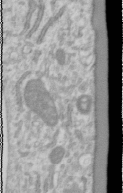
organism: Human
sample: Cilia; basal body in RPE cells